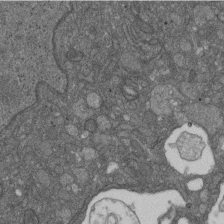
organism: Drosophila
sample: Nephrocyte